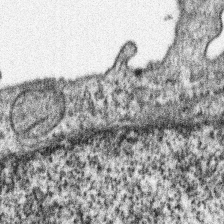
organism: Human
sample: HeLa cells